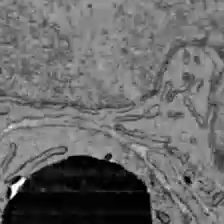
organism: C57BL Mouse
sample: Liver